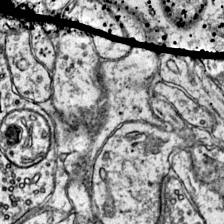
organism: Mouse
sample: Primary visual cortex